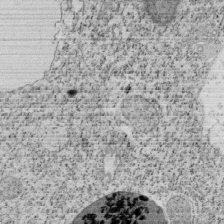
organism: Tetrahymena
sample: Cilia in tetrahymena